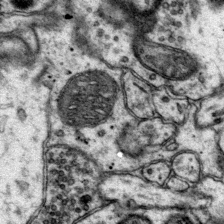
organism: Mouse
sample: Primary visual cortex